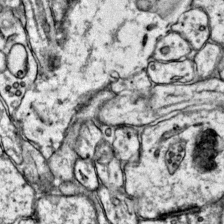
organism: Mouse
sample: Primary visual cortex